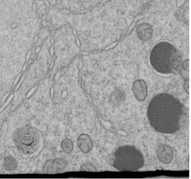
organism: C. elegans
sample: C. elegans embryo early stage